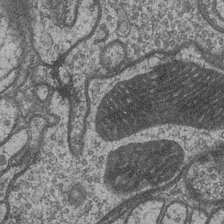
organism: Drosophila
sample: Optic medulla